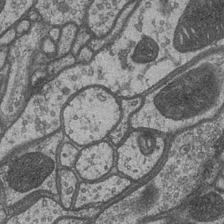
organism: Drosophila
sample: Optic medulla